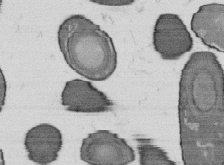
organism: B. subtilis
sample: Bacterial spore